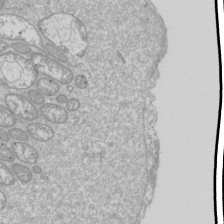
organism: Drosophila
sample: Cell division; meiosis; drosophila spermatocytes